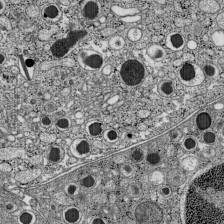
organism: C57BL Mouse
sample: Pancreatic islet